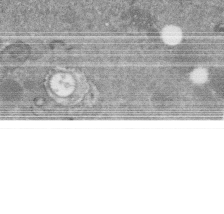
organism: C. elegans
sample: C. elegans embryo early stage